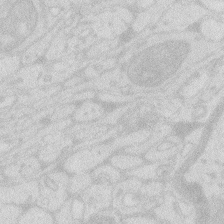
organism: Zebrafish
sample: Macrophage